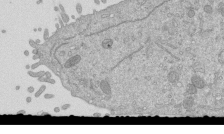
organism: Mouse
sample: ED-1 cell nuclei; centrioles